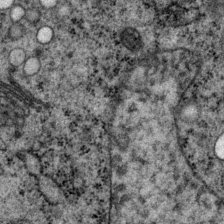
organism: P. pacificus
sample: Pharynx